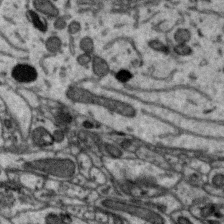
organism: Zebra finch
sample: Brain